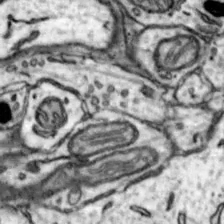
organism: Mouse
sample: Nucleus accumbens